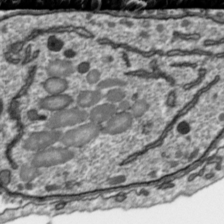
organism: Toxoplasma gondii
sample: Parasites in a vacuole inside a host cell